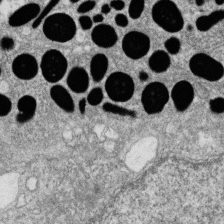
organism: Zebrafish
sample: Cilia; retinal pigment epithelium